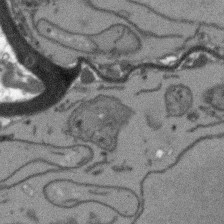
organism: Arabidopsis thaliana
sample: Root tip